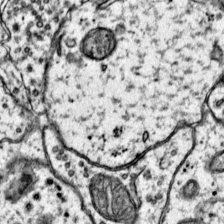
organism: Mouse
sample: Primary visual cortex